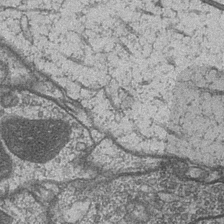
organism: Drosophila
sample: Optic medulla